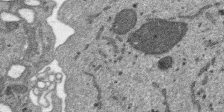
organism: Human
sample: Lung epithelial cells infected with SARS-CoV-2